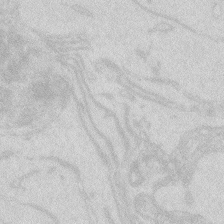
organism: Zebrafish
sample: Macrophage